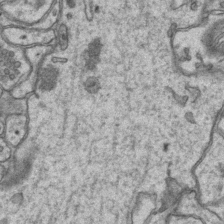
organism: Mouse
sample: CA1 Hippocampus